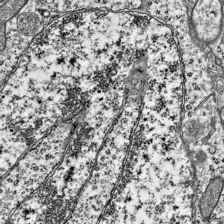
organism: Mouse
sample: Visual Cortex